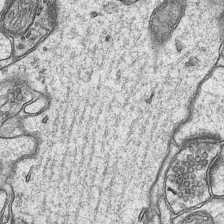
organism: Mouse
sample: CA1 Hippocampus